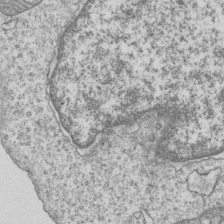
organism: Human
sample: MDA-MB-231 cells